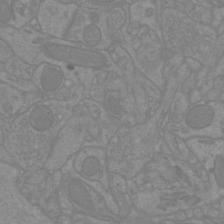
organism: Mouse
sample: Cortical neurons